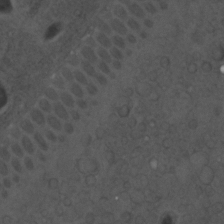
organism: C. elegans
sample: C. elegans embryo